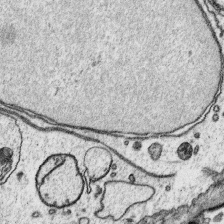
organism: Platynereis dumerilii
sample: Parapodia